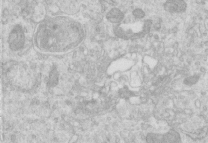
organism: Human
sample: Centriole in RPE cells